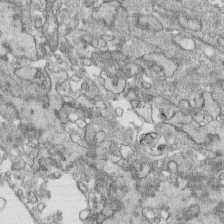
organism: Human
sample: CRL-1474